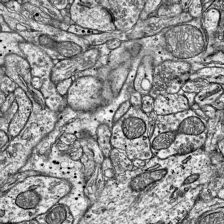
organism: Mouse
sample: Visual Cortex